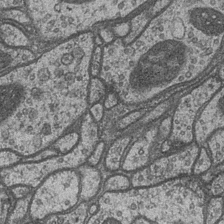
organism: Drosophila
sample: Optic medulla